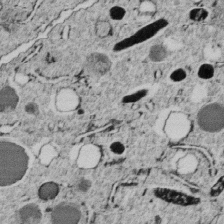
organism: C. elegans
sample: C. elegans embryo early stage